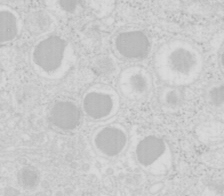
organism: Mouse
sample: Pancreas